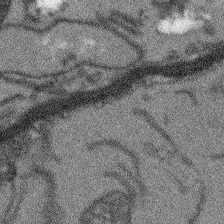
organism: Arabidopsis thaliana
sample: Root tip